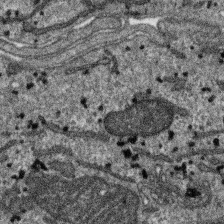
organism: Human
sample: Lung epithelial cells infected with SARS-CoV-2